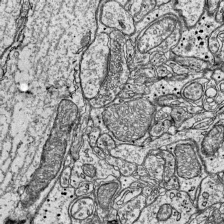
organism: Mouse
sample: Visual Cortex